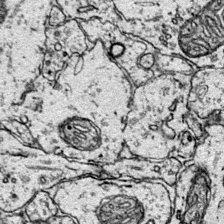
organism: Mouse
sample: Primary visual cortex